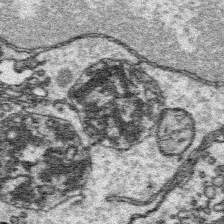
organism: Platynereis dumerilii